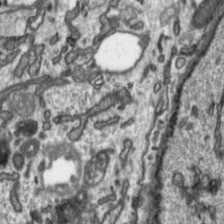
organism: Toxoplasma gondii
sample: Parasites in a vacuole inside a host cell